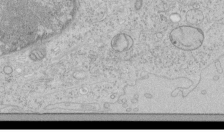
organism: Human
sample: Mitochondria in HCT116 cells